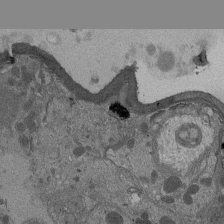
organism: Drosophila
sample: Antenna